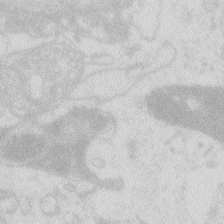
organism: Zebrafish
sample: Macrophage